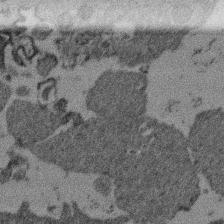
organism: Mouse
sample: Dividing mouse embryo 1 cell stage